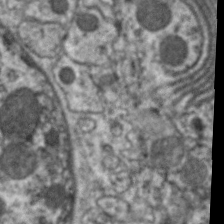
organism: C. elegans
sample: Pharynx